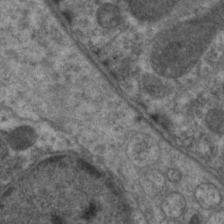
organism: C. elegans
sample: Pharynx